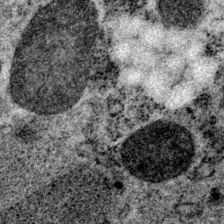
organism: P. pacificus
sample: Pharynx